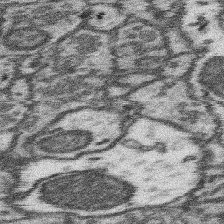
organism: Mouse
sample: Somatosensory cortex neuropil